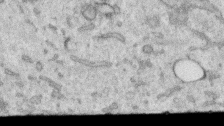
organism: Human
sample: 1205lu cells